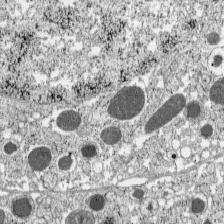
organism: C57BL Mouse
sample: Pancreatic islet